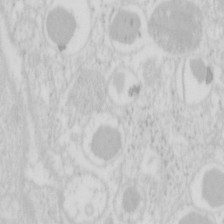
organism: Mouse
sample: Pancreas